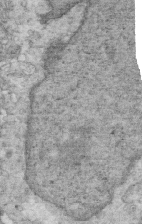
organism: Mouse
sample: Multiciliated cells